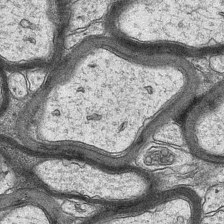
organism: Mouse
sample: CA1 Hippocampus